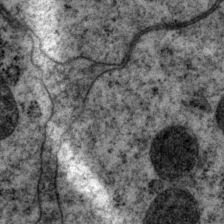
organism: P. pacificus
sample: Pharynx